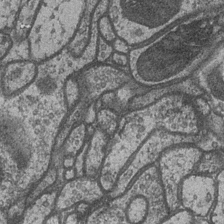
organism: Drosophila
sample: Optic medulla